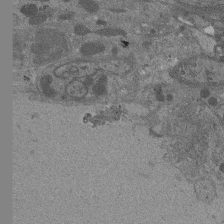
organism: Drosophila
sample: Antenna